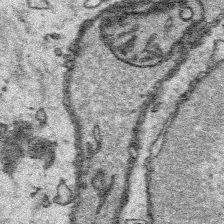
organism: Platynereis dumerilii